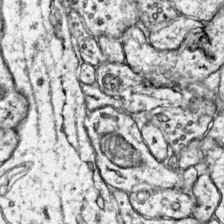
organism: Mouse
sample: Primary visual cortex